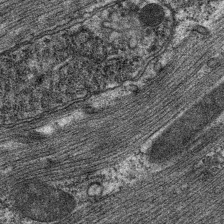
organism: C. elegans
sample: Pharynx